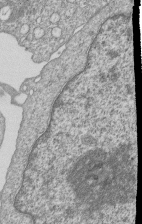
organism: Human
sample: MDA-MB-231 cells